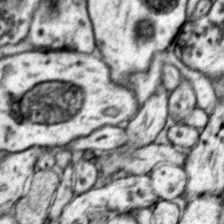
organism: Mouse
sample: Primary visual cortex